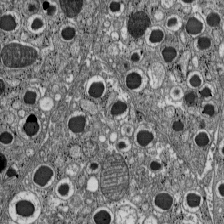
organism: C57BL Mouse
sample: Pancreatic islet